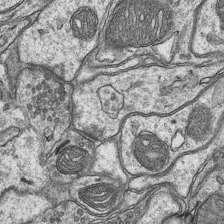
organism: Mouse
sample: CA1 Hippocampus